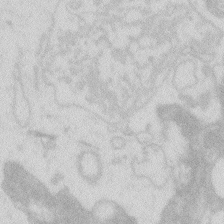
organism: Zebrafish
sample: Macrophage